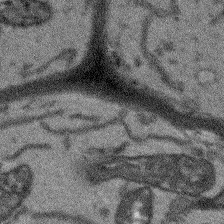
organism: Arabidopsis thaliana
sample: Root tip